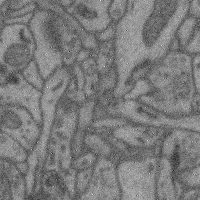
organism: Mouse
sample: Cerebral cortex